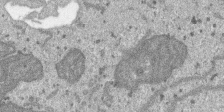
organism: Human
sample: Lung epithelial cells infected with SARS-CoV-2